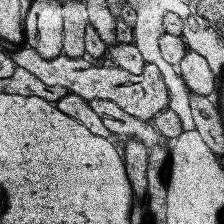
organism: Human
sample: Temporal Lobe